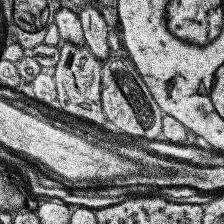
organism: Human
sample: Temporal Lobe